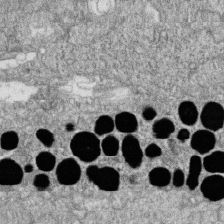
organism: Zebrafish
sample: Cilia; retinal pigment epithelium